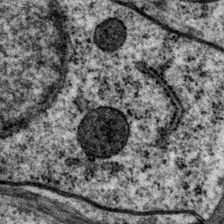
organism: P. pacificus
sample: Pharynx